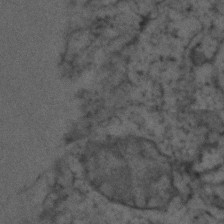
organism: Zebrafish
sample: Zebrafish embryo